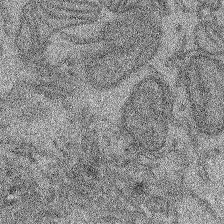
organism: Human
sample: HeLa cells